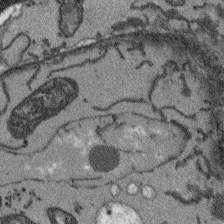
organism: Arabidopsis thaliana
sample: Root tip